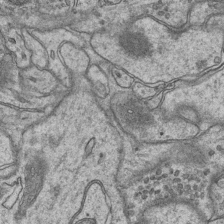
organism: Mouse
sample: CA1 Hippocampus